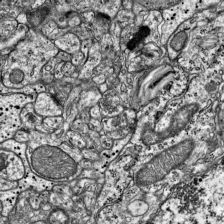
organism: Mouse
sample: Visual Cortex